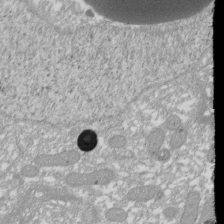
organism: Xenopus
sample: Cilia; centrioles in frog embryo cells